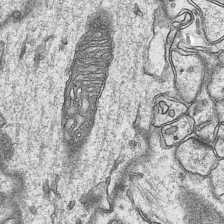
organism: Mouse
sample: CA1 Hippocampus